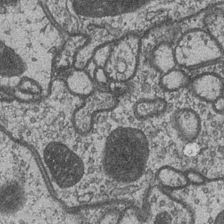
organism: Drosophila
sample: Optic medulla